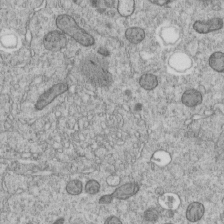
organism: C. elegans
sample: C. elegans embryo early stage